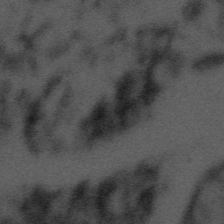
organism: Tuwongella immobilis